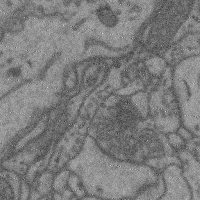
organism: Mouse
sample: Cerebral cortex